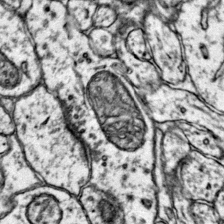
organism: Mouse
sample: Primary visual cortex